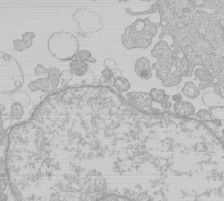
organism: Human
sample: Macrophage cells